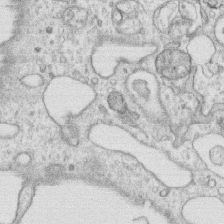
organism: Human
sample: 1205lu cells